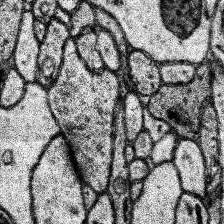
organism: Human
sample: Temporal Lobe